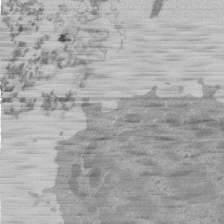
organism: Mouse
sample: Activated Pmel transgenic CD8+ T Cells